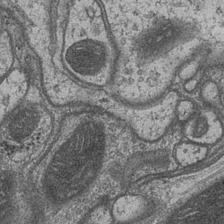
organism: Drosophila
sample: Optic medulla